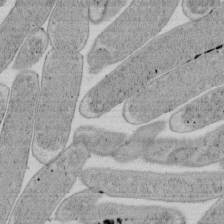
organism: E. coli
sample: Bacterial nucleoid